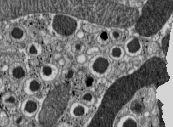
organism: C57BL Mouse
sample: Pancreatic islet